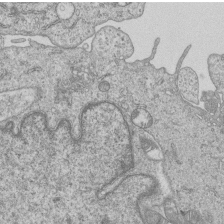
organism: Human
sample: MDA-MB-231 cells